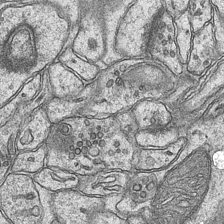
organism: Mouse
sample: CA1 Hippocampus